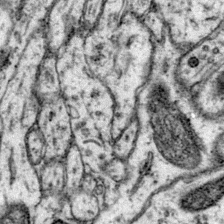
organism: Mouse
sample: Primary visual cortex